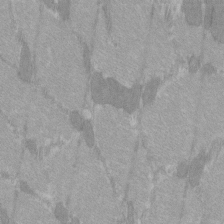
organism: C57BL Mouse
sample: Tibialis anterior muscle cell